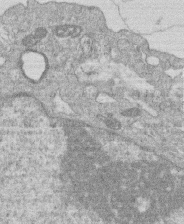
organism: Human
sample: Macrophage cells